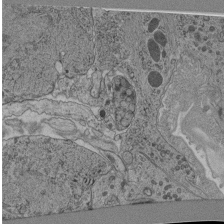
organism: C. elegans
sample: C. elegans pharynx